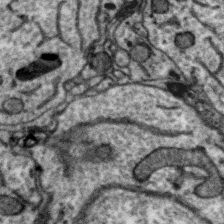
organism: Zebra finch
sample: Brain